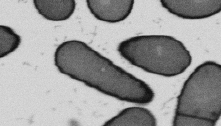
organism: B. subtilis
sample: Bacterial spore